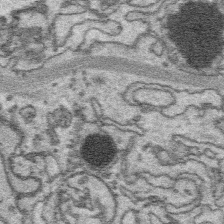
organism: Platynereis dumerilii